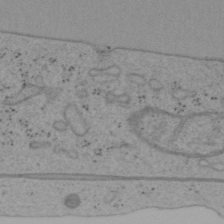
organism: Human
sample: HeLa cells